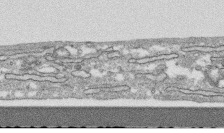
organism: Human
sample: CRL-1474